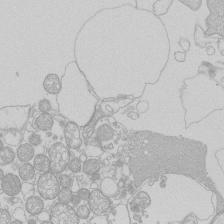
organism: Human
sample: Macrophage cells